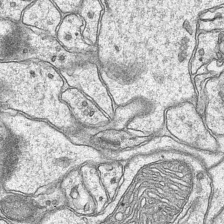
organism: Mouse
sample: CA1 Hippocampus